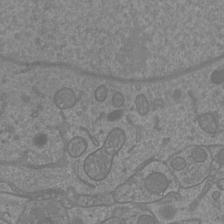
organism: Mouse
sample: Cortical neurons